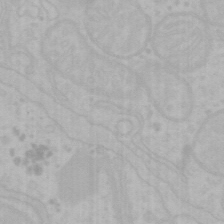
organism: Mouse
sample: Choroid plexus